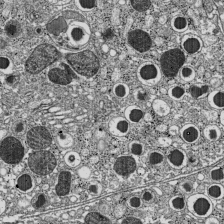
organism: C57BL Mouse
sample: Pancreatic islet